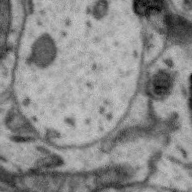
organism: Zebra finch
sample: Brain